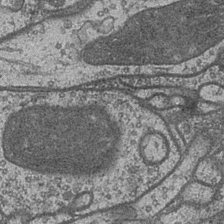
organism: Drosophila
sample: Optic medulla